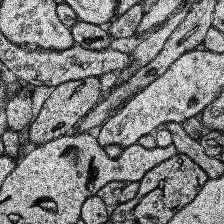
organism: Human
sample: Temporal Lobe